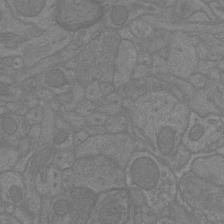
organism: Mouse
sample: Cortical neurons